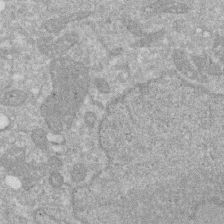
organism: Human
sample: HIV infected U937 cells